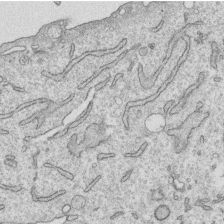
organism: Human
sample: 1205lu cells